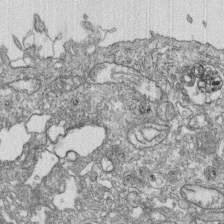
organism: Human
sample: HeLa cell HIV synapse